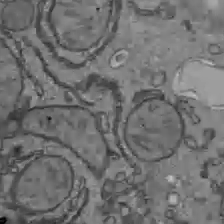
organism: C57BL Mouse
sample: Liver